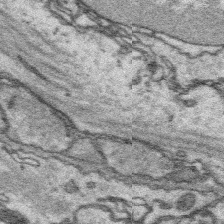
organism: Platynereis dumerilii